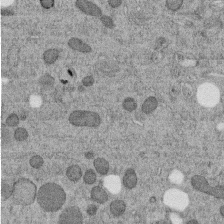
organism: C. elegans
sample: C. elegans embryo early stage